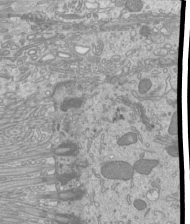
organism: Mouse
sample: Cilia; mouse epididymis